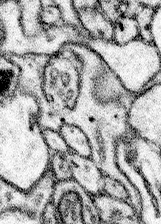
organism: Mouse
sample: Somatosensory cortex neuropil